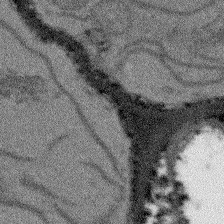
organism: Arabidopsis thaliana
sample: Root tip